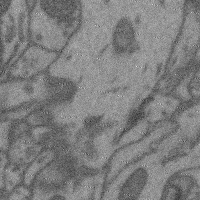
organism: Mouse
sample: Cerebral cortex